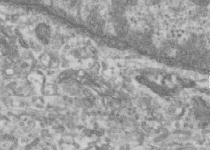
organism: Human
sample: Centriole in RPE cells